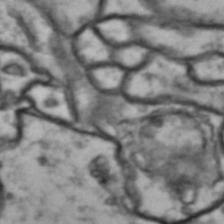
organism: Drosophila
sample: Brain